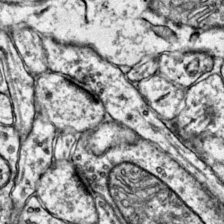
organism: Mouse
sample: Primary visual cortex